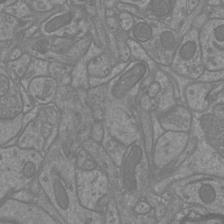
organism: Mouse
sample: Cortical neurons